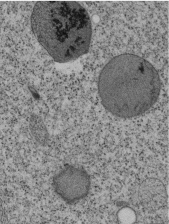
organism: Tetrahymena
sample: Cilia in tetrahymena